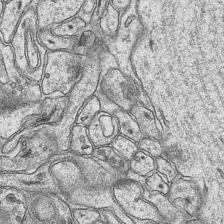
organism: Mouse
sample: CA1 Hippocampus